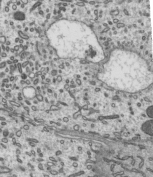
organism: Mouse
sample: Mouse epididymis efferent ductule cilia